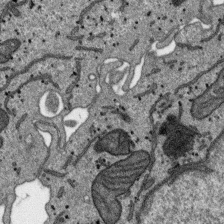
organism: Human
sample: Lung epithelial cells, uninfected (mock) control